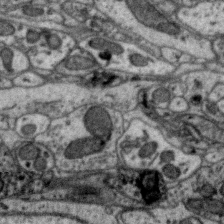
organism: Zebra finch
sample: Brain